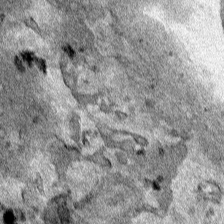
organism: Human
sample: Mitochondria in HCT116 cells